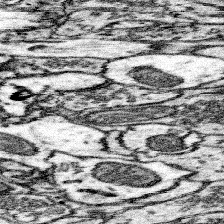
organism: Mouse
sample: Somatosensory cortex neuropil